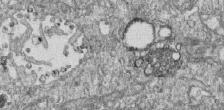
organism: Human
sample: HeLa cell HIV synapse